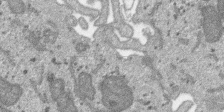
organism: Human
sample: Lung epithelial cells infected with SARS-CoV-2